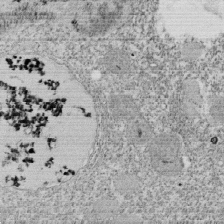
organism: Tetrahymena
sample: Cilia in tetrahymena